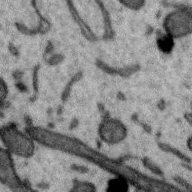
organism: Zebra finch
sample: Brain